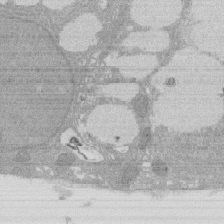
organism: Rat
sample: Salivary granule